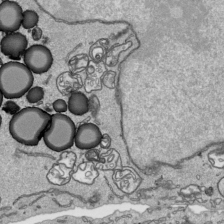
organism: Human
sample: Mitochondria in HCT116 cells